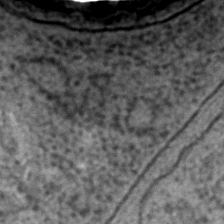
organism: C. elegans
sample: C. elegans embryo